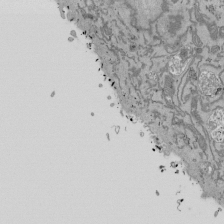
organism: Mouse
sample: ED-1 cell nuclei; centrioles